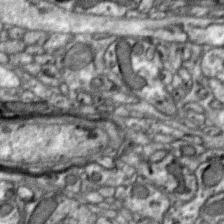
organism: Zebra finch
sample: Brain